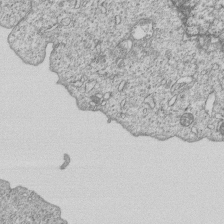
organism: Human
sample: MDA-MB-231 cells